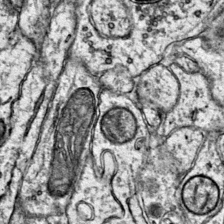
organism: Mouse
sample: Primary visual cortex